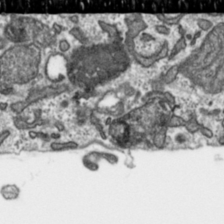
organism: Toxoplasma gondii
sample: Parasites in a vacuole inside a host cell